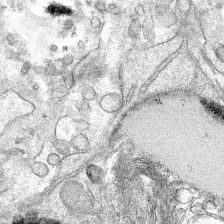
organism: Mouse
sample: Mouse hepatocytes